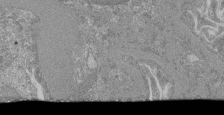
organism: Mouse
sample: Glomerulus